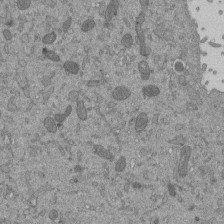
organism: Mouse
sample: ED-1 cell nuclei; centrioles